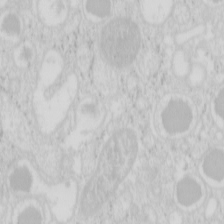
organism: Mouse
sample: Pancreas